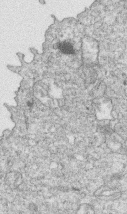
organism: Human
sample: HeLa cell HIV synapse